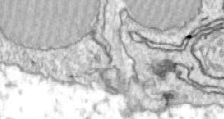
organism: Zebrafish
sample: Actinotrichia fibers